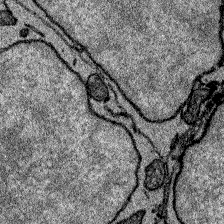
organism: Zebrafish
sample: Larval olfactory bulb